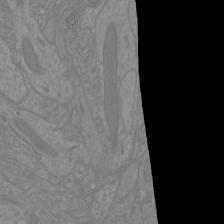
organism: Mouse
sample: Cortical neurons